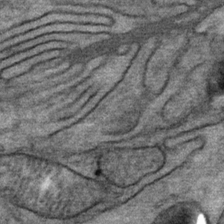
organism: Mouse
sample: Mouse Salivary gland